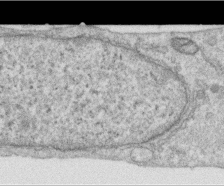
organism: Human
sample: Centriole in RPE cells